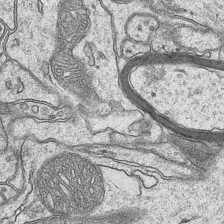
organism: Mouse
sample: CA1 Hippocampus